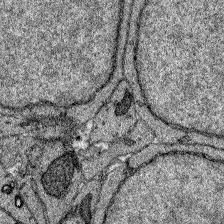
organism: Zebrafish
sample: Larval olfactory bulb